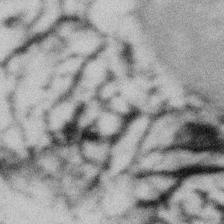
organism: Gemmata obscuriglobus